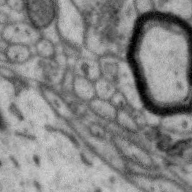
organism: Zebra finch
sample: Brain